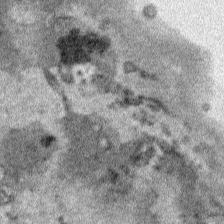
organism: Human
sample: Mitochondria in HCT116 cells